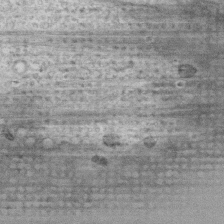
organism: Human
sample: Fibroblast cells